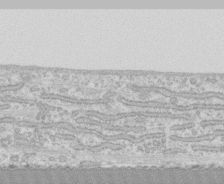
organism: Human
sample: CRL-1474